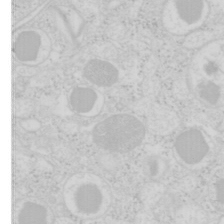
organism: Mouse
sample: Pancreas